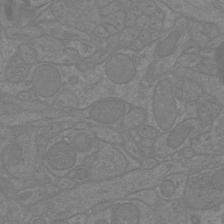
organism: Mouse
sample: Cortical neurons